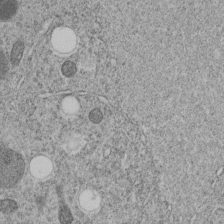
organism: C. elegans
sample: C. elegans embryo early stage